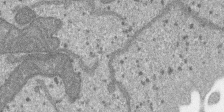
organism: Human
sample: Lung epithelial cells infected with SARS-CoV-2